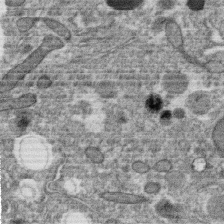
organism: C. elegans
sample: C. elegans oocyte; sperm cells